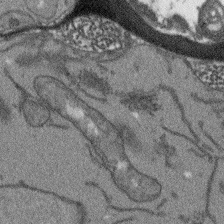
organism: Arabidopsis thaliana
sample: Root tip